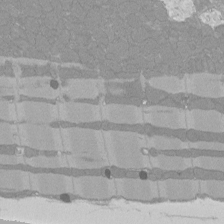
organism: Rat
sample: Left ventricle